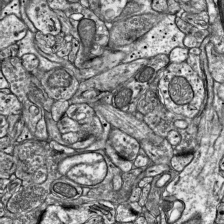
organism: Mouse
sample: Visual Cortex